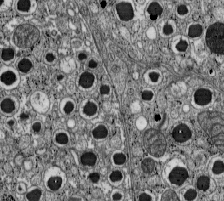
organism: C57BL Mouse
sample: Pancreatic islet